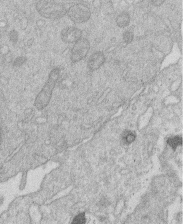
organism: Human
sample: Macrophage cells